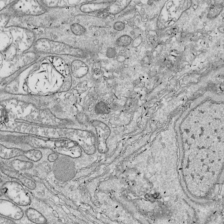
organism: Drosophila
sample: Cell division; meiosis; drosophila spermatocytes